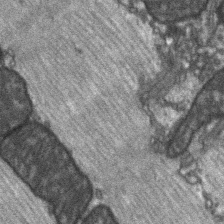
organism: C57BL Mouse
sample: Soleus